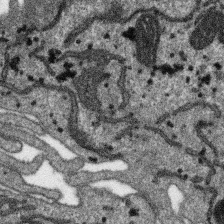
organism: Human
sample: Lung epithelial cells infected with SARS-CoV-2